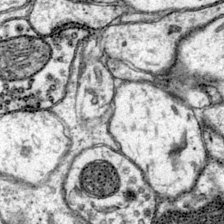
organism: Mouse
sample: Primary visual cortex